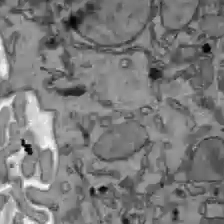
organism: C57BL Mouse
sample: Liver